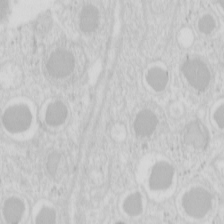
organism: Mouse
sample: Pancreas